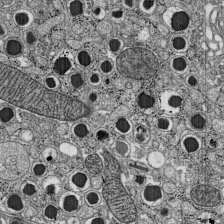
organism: C57BL Mouse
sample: Pancreatic islet